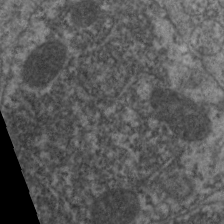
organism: C. elegans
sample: Pharynx